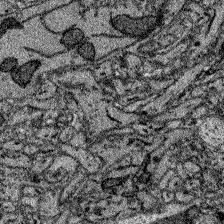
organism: Zebrafish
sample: Larval olfactory bulb